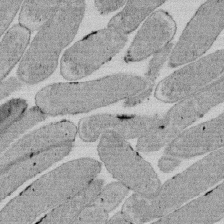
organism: E. coli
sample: Bacterial nucleoid